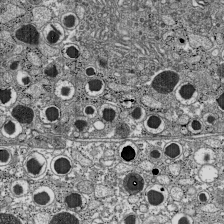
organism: C57BL Mouse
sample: Pancreatic islet